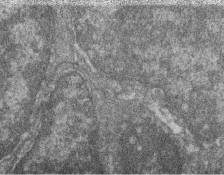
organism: Zebrafish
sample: Cilia; retinal pigment epithelium